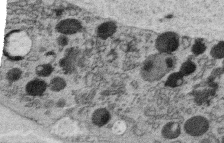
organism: C. elegans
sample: C. elegans oocyte; sperm cells